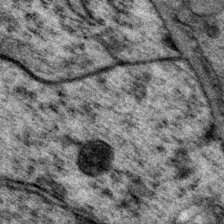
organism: P. pacificus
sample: Pharynx